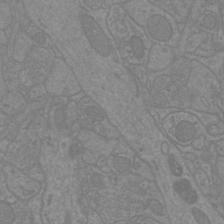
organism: Mouse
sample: Cortical neurons